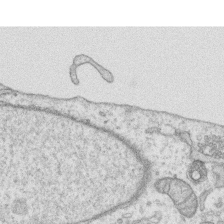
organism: Human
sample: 1205lu cells